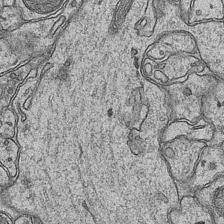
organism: Mouse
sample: CA1 Hippocampus